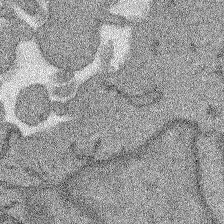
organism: Human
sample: HeLa cells